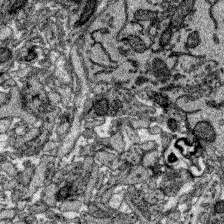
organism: Zebrafish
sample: Larval olfactory bulb